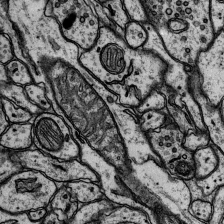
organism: Rat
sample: Hippocampus